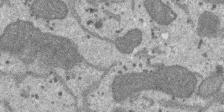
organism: Human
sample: Lung epithelial cells infected with SARS-CoV-2